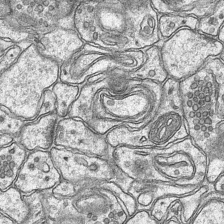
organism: Mouse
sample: CA1 Hippocampus